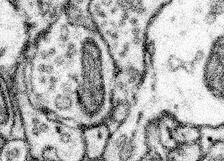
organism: Mouse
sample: Somatosensory cortex neuropil